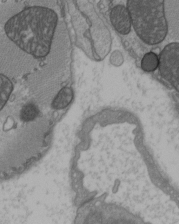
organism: C57BL Mouse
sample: Heart